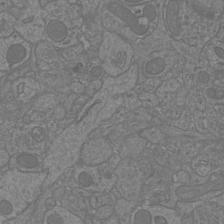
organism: Mouse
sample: Cortical neurons